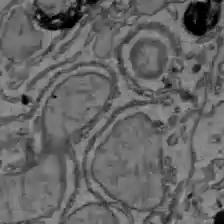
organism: C57BL Mouse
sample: Liver